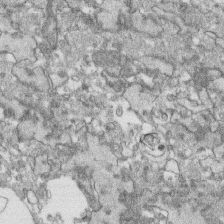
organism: Human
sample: CRL-1474